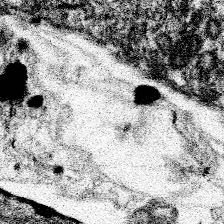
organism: Spongilla lacustris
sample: Neuroid cell